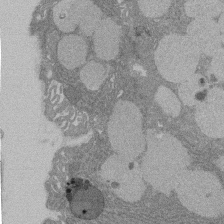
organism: Rat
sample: Salivary granule